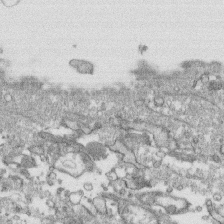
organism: Human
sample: CRL-1474